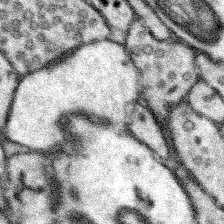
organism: Mouse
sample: Somatosensory cortex neuropil